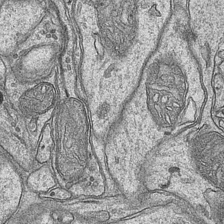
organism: Mouse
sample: CA1 Hippocampus